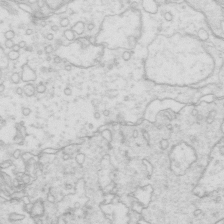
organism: Mouse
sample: Multiciliated cells